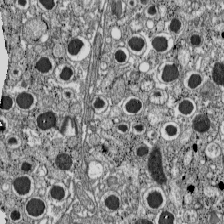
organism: C57BL Mouse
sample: Pancreatic islet